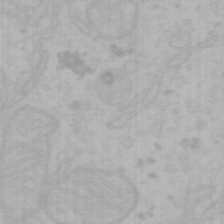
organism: Mouse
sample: Choroid plexus